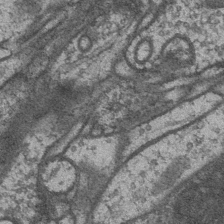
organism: Drosophila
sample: Optic medulla